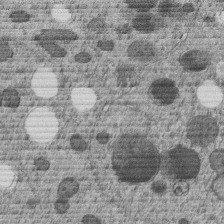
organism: C. elegans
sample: C. elegans embryo early stage